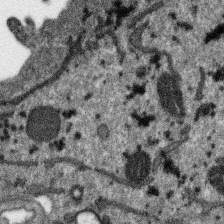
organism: Human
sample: Lung epithelial cells infected with SARS-CoV-2